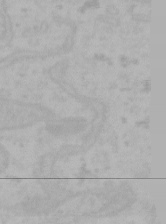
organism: Mouse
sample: Choroid plexus